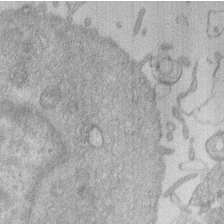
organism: Human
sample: Macrophage cells